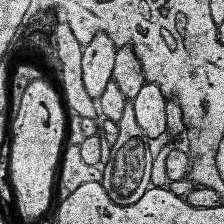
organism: Human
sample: Temporal Lobe